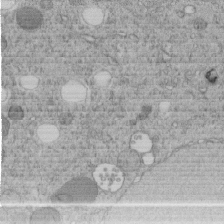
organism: C. elegans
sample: C. elegans embryo early stage